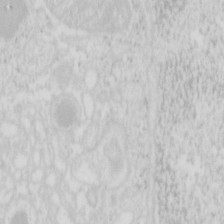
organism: Mouse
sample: Pancreas